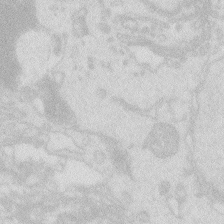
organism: Zebrafish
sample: Macrophage